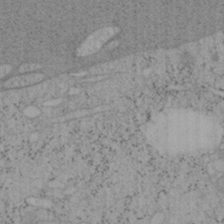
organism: Mouse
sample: OT-I killer T cells with ID8 ovarian cancer cells